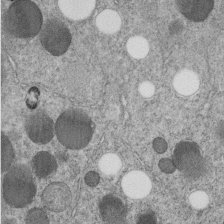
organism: C. elegans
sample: C. elegans embryo early stage